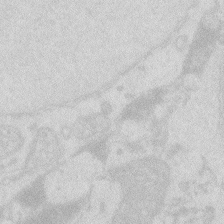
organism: Zebrafish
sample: Macrophage